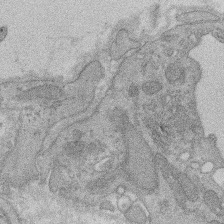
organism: Rat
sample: Salivary granule